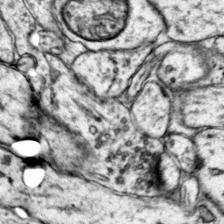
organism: Mouse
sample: Primary visual cortex